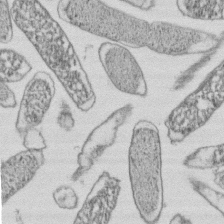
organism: E. coli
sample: Bacterial nucleoid